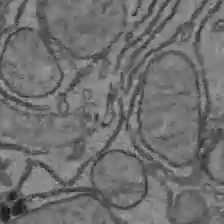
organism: C57BL Mouse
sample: Liver